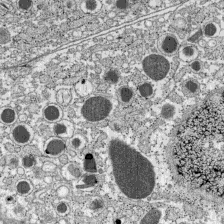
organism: C57BL Mouse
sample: Pancreatic islet